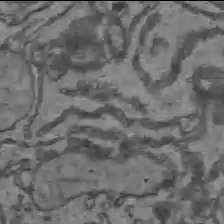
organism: C57BL Mouse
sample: Liver